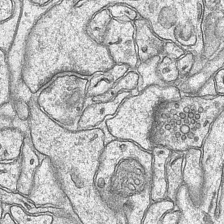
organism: Mouse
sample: CA1 Hippocampus